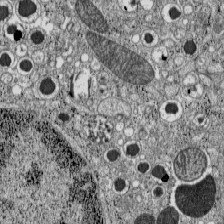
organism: C57BL Mouse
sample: Pancreatic islet